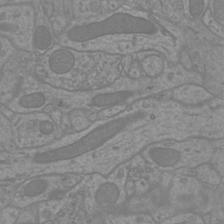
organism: Mouse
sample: Cortical neurons